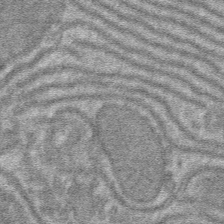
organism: Mouse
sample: Mouse hepatocytes